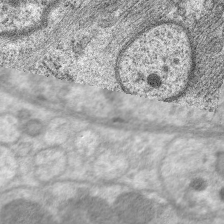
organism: C. elegans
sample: Pharynx